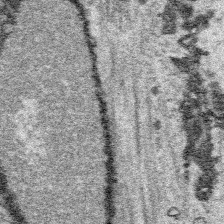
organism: Platynereis dumerilii